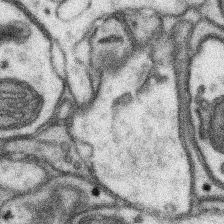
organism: Mouse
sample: Somatosensory cortex neuropil